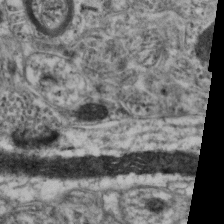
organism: Mouse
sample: Neocortex